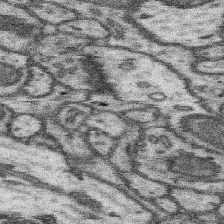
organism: Mouse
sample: Somatosensory cortex neuropil